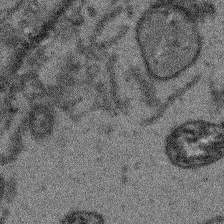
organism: Arabidopsis thaliana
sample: Root tip